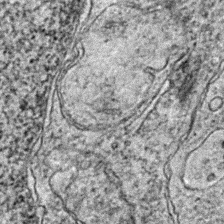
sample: Trachea